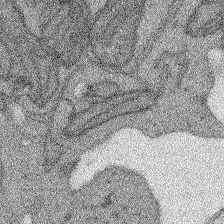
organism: Human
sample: HeLa cells